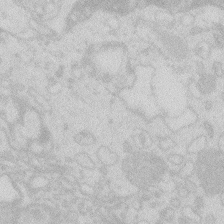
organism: Zebrafish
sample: Macrophage